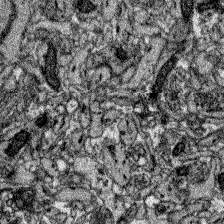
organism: Zebrafish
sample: Larval olfactory bulb